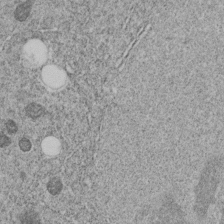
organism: C. elegans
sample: C. elegans embryo early stage